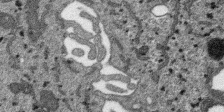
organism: Human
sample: Lung epithelial cells infected with SARS-CoV-2